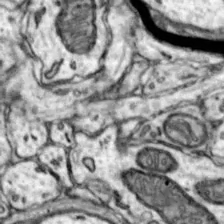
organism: Mouse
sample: Nucleus accumbens